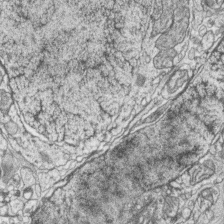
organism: Zebrafish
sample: synaptic ribbons in rod cells and cone cells